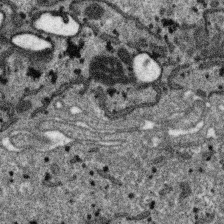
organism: Human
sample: Lung epithelial cells infected with SARS-CoV-2